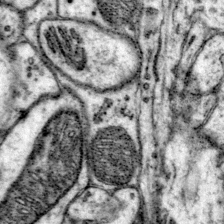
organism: Mouse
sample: Primary visual cortex